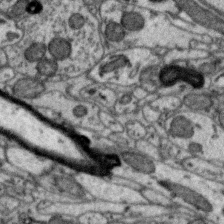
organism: Zebra finch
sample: Brain